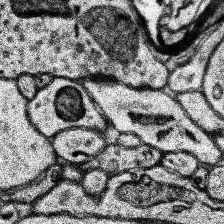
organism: Human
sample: Temporal Lobe